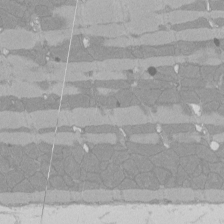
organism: Rat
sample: Left ventricle